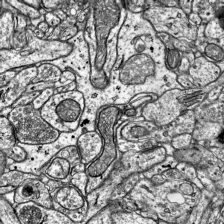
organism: Mouse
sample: Visual Cortex